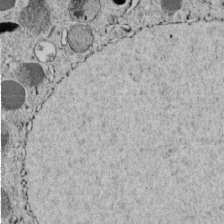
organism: C. elegans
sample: C. elegans embryo early stage